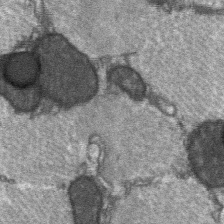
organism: C57BL Mouse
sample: Soleus